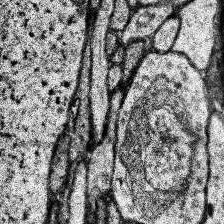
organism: Human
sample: Temporal Lobe